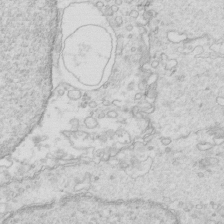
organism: Mouse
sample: Multiciliated cells